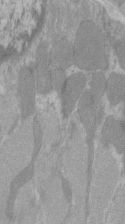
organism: C57BL Mouse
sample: Tibialis anterior muscle cell